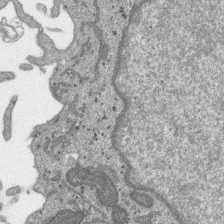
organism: Human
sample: Lung epithelial cells infected with SARS-CoV-2